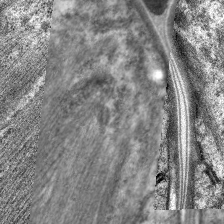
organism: C. elegans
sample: Pharynx